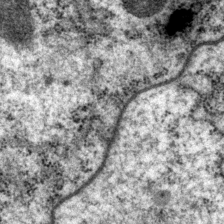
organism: P. pacificus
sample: Pharynx